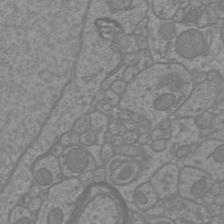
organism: Mouse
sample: Cortical neurons